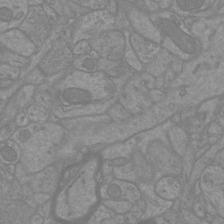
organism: Mouse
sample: Cortical neurons